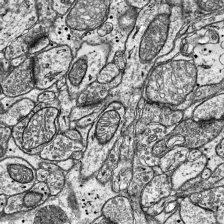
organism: Mouse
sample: Visual Cortex